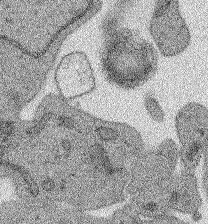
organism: Human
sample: HeLa cells